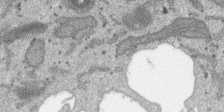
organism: Human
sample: Lung epithelial cells infected with SARS-CoV-2